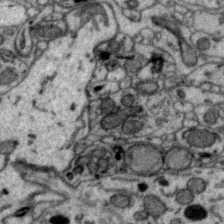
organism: Zebra finch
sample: Brain